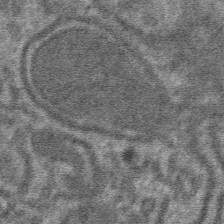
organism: Mouse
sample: Mouse hepatocytes